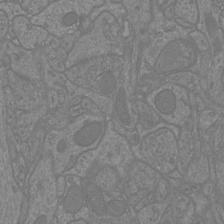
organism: Mouse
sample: Cortical neurons